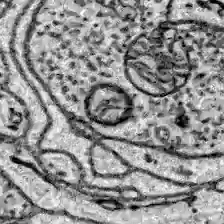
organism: Zebrafish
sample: Brain